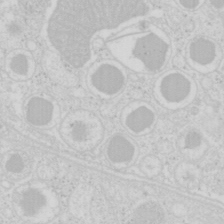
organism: Mouse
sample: Pancreas